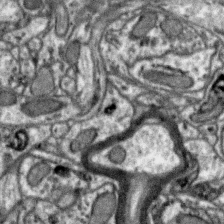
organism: Zebra finch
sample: Brain